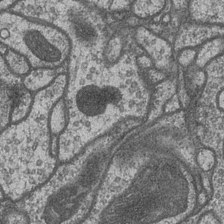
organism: Drosophila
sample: Optic medulla